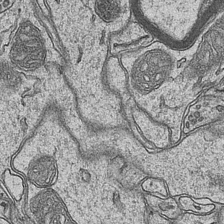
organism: Mouse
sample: CA1 Hippocampus